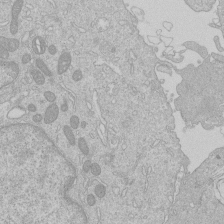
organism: Human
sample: Macrophage cells